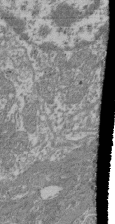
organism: Mouse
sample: Glomerulus